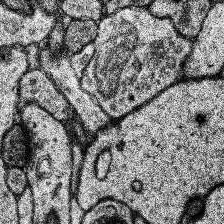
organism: Human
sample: Temporal Lobe